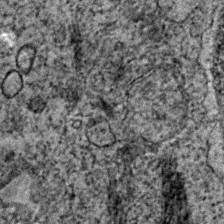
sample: Trachea